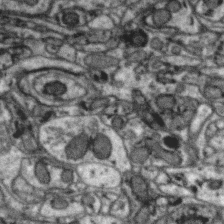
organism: Zebra finch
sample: Brain